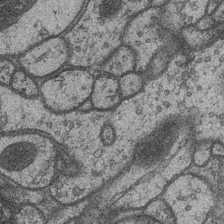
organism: Drosophila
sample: Optic medulla